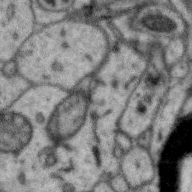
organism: Zebra finch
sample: Brain